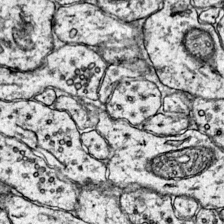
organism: Mouse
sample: Primary visual cortex